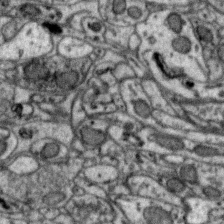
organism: Zebra finch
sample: Brain